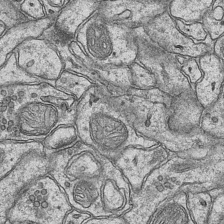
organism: Mouse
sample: CA1 Hippocampus